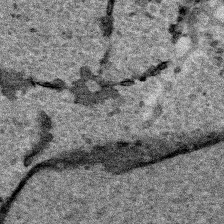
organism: Human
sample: Mitochondria in HCT116 cells